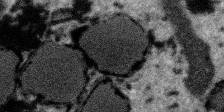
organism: Human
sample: Lung epithelial cells infected with SARS-CoV-2